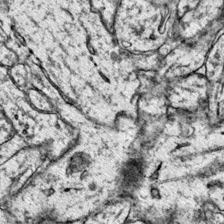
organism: Mouse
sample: Primary visual cortex